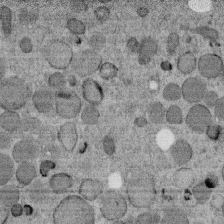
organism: C. elegans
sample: C. elegans embryo early stage